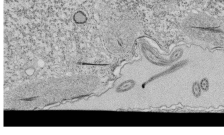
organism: Tetrahymena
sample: Cilia in tetrahymena